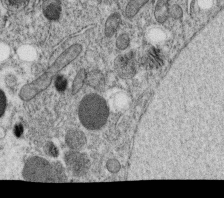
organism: C. elegans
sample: C. elegans oocyte; sperm cells